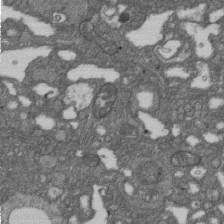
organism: Drosophila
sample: Nephrocyte